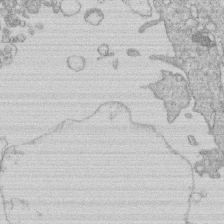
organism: Human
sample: Macrophage cells